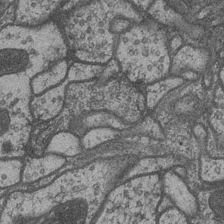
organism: Drosophila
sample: Optic medulla